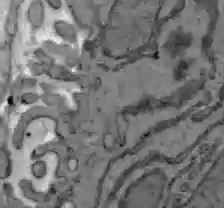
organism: C57BL Mouse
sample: Liver